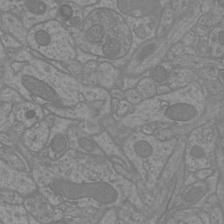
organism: Mouse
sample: Cortical neurons